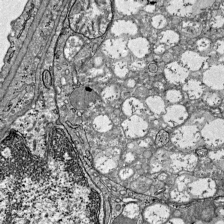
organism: Mouse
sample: Visual Cortex